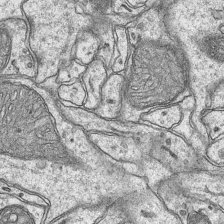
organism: Mouse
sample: CA1 Hippocampus